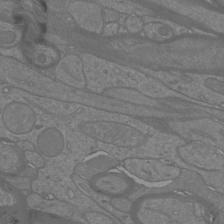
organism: Mouse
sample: Cortical neurons